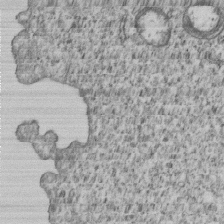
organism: Human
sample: MDA-MB-231 cells